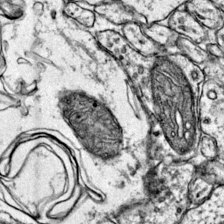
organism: Mouse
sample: Primary visual cortex